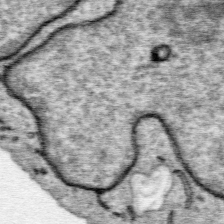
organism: Human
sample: HeLa cells